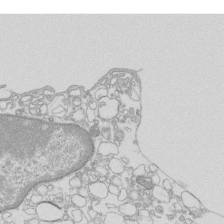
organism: Mouse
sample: Macrophages